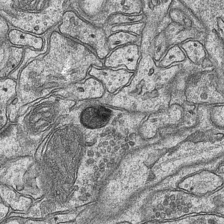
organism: Mouse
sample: CA1 Hippocampus